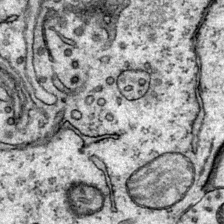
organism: Mouse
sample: Primary visual cortex